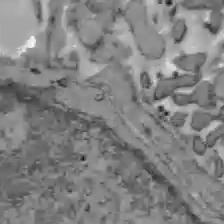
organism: C57BL Mouse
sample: Liver